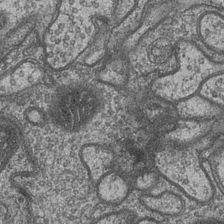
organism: Drosophila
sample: Optic medulla